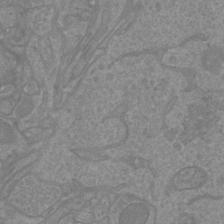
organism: Mouse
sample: Cortical neurons